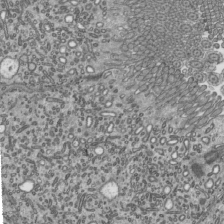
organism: Mouse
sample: Mouse epididymis efferent ductule cilia